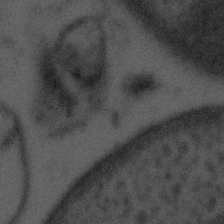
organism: Tuwongella immobilis